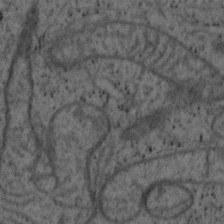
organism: Human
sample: HeLa cells